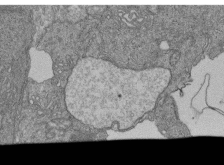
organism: Human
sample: Retinal organoid Rod and Cone cells